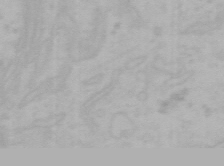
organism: Mouse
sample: Choroid plexus